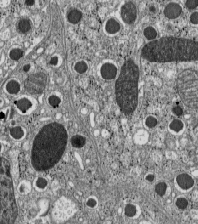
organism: C57BL Mouse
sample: Pancreatic islet